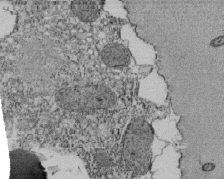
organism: Tetrahymena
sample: Cilia in tetrahymena